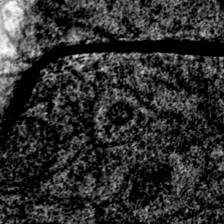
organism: Mouse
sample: Primary visual cortex